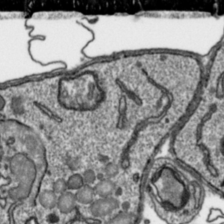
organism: Toxoplasma gondii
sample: Parasites in a vacuole inside a host cell